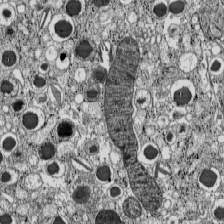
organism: C57BL Mouse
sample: Pancreatic islet